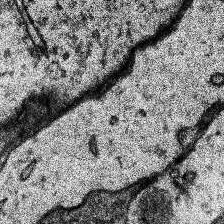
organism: Human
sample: Temporal Lobe